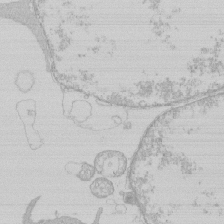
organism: Human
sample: Macrophage cells